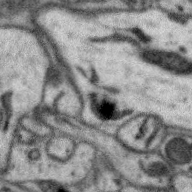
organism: Zebra finch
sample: Brain